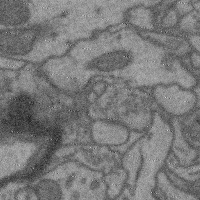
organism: Mouse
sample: Cerebral cortex